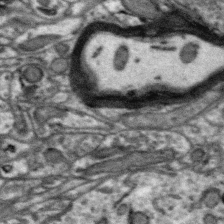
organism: Zebra finch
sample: Brain